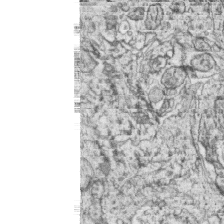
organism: Zebrafish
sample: synaptic ribbons in rod cells and cone cells